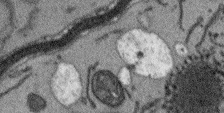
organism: Arabidopsis thaliana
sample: Root tip